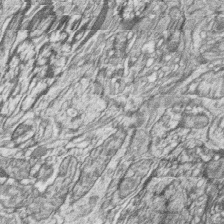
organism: Zebrafish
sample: synaptic ribbons in rod cells and cone cells